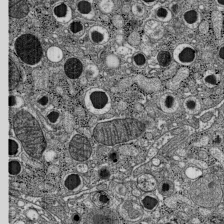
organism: C57BL Mouse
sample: Pancreatic islet